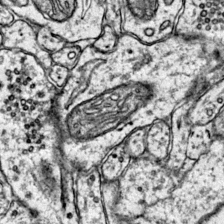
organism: Mouse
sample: Primary visual cortex